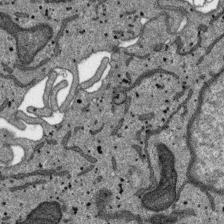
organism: Human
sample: Lung epithelial cells, uninfected (mock) control